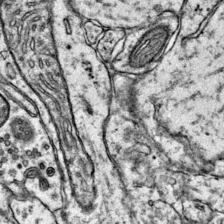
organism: Mouse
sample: Primary visual cortex